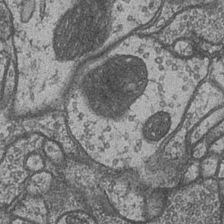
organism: Drosophila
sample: Optic medulla